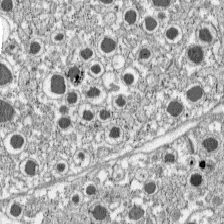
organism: C57BL Mouse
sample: Pancreatic islet